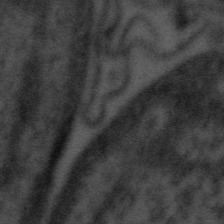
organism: Tuwongella immobilis